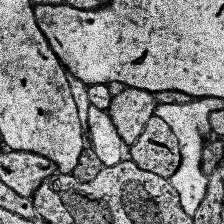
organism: Human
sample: Temporal Lobe